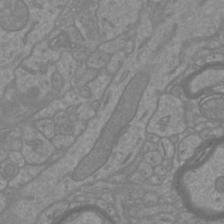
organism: Mouse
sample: Cortical neurons